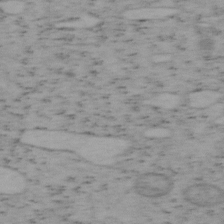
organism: Mouse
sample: OT-I killer T cells with ID8 ovarian cancer cells